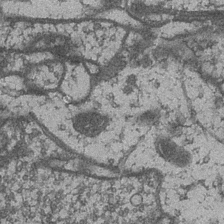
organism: Drosophila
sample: Optic medulla